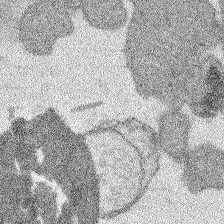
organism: Human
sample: HeLa cells